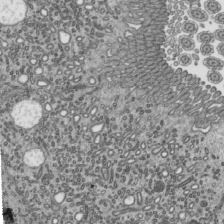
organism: Mouse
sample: Mouse epididymis efferent ductule cilia